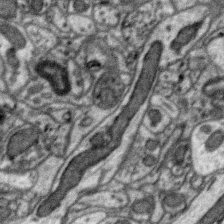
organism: Zebra finch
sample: Brain